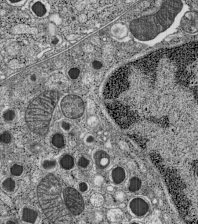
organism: C57BL Mouse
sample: Pancreatic islet